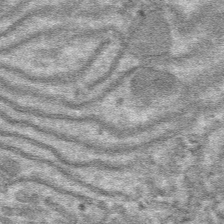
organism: Mouse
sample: Mouse hepatocytes